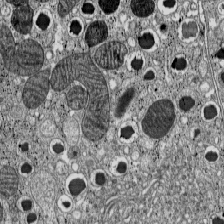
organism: C57BL Mouse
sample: Pancreatic islet